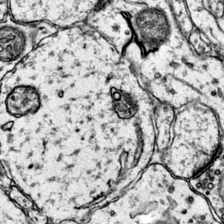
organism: Mouse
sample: Primary visual cortex